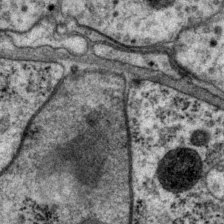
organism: P. pacificus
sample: Pharynx